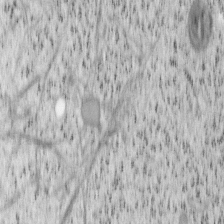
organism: Human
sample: HeLa cells